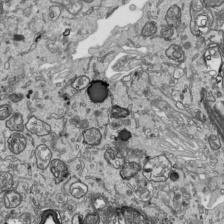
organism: Human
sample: Mitochondria in HCT116 cells